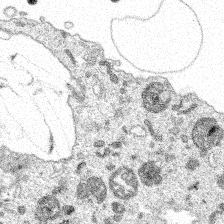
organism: Spongilla lacustris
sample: Multiple